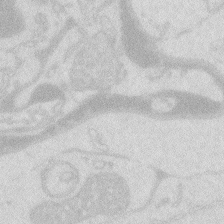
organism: Zebrafish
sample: Macrophage